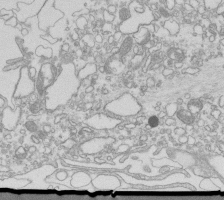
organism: Mouse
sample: Macrophages